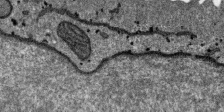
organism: Human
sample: Lung epithelial cells, uninfected (mock) control